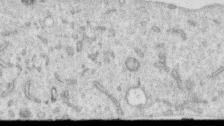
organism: Human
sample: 1205lu cells